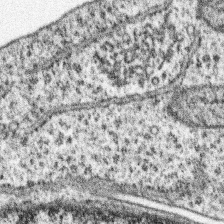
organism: Human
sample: HeLa cells